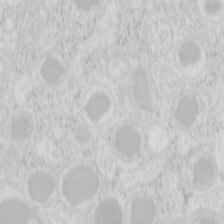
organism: Mouse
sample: Pancreas